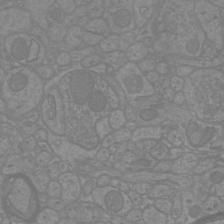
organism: Mouse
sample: Cortical neurons